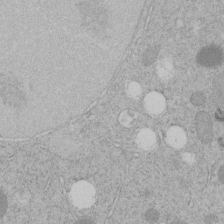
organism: C. elegans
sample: C. elegans embryo early stage